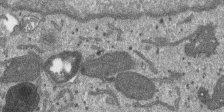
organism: Human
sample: Lung epithelial cells infected with SARS-CoV-2